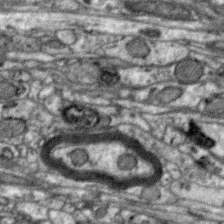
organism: Zebra finch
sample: Brain